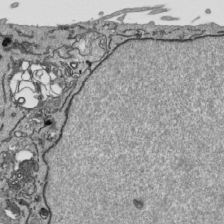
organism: Human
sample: Mitochondria in HCT116 cells